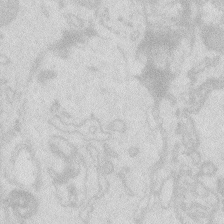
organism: Zebrafish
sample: Macrophage